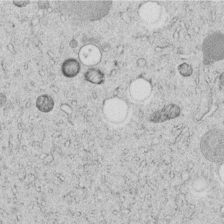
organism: C. elegans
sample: C. elegans embryo early stage